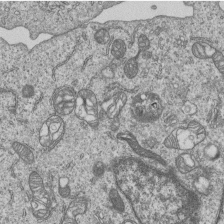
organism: Human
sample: MDA-MB-231 cells